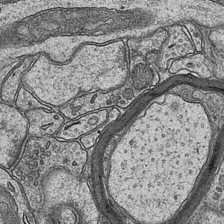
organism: Mouse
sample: CA1 Hippocampus